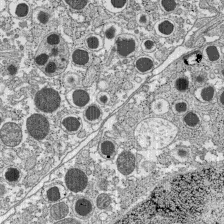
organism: C57BL Mouse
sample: Pancreatic islet